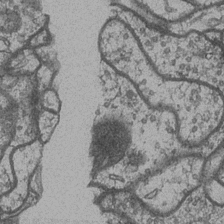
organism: Drosophila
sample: Optic medulla